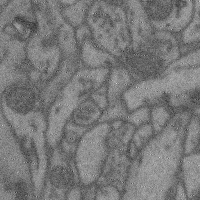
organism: Mouse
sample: Cerebral cortex